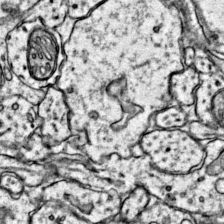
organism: Mouse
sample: Primary visual cortex